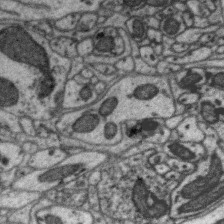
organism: Zebra finch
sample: Brain